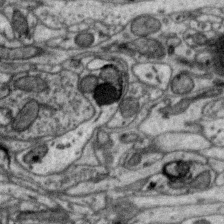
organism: Zebra finch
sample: Brain